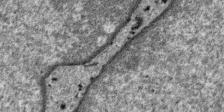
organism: Human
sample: Lung epithelial cells, uninfected (mock) control